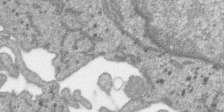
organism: Human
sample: Lung epithelial cells infected with SARS-CoV-2